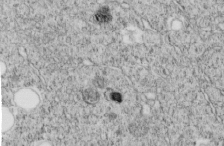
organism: C. elegans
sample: C. elegans embryo early stage